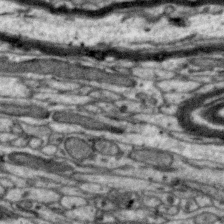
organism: Zebra finch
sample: Brain